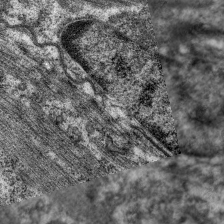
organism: C. elegans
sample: Pharynx